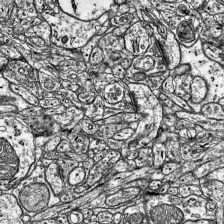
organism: Mouse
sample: Visual Cortex